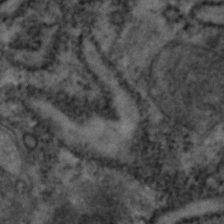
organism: Zebrafish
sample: Zebrafish embryo